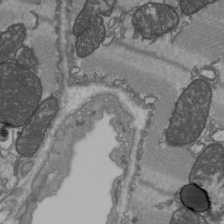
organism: C57BL Mouse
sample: Heart